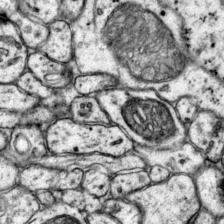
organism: Mouse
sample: Primary visual cortex